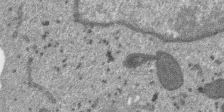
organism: Human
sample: Lung epithelial cells infected with SARS-CoV-2